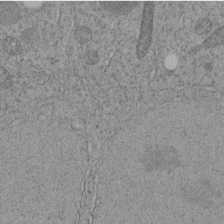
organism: C. elegans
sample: C. elegans embryo early stage